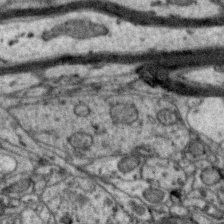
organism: Zebra finch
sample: Brain